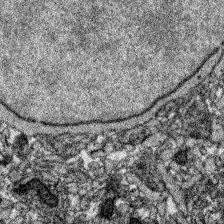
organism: Zebrafish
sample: Larval olfactory bulb